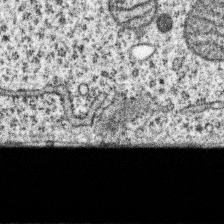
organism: Human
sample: HeLa cells